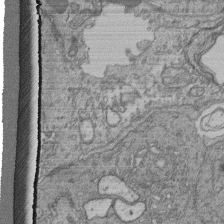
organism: Human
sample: Retinal organoid Rod and Cone cells